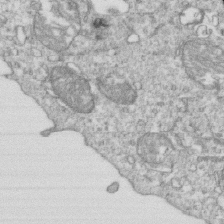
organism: Mouse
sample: Activated OT-1 CD8+ T cells